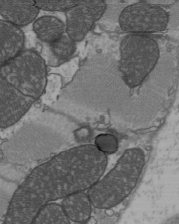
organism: C57BL Mouse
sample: Heart